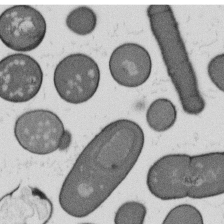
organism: B. subtilis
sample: Bacterial spore